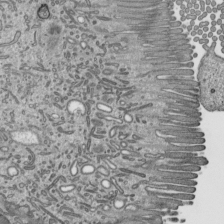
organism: Mouse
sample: Mouse epididymis efferent ductule cilia